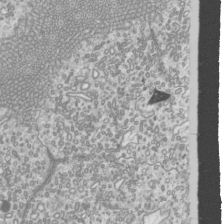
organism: Mouse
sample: Cilia; mouse epididymis